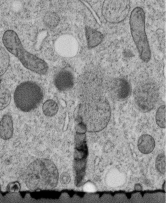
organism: C. elegans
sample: C. elegans embryo early stage